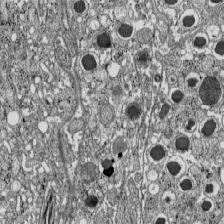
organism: C57BL Mouse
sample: Pancreatic islet